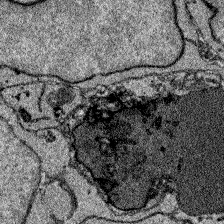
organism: Zebrafish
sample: Larval olfactory bulb